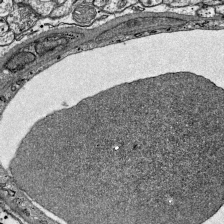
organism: Mouse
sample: Visual Cortex